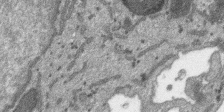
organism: Human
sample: Lung epithelial cells infected with SARS-CoV-2